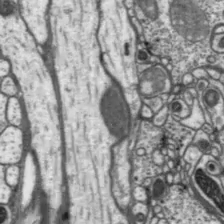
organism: Drosophila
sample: Protocerebral bridge